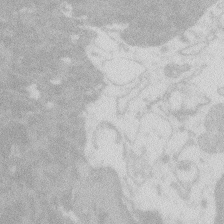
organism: Zebrafish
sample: Macrophage